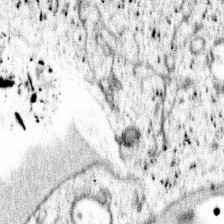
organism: Human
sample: HeLa cells